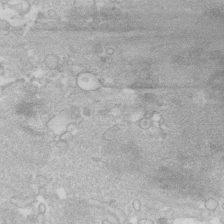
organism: Human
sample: Fibroblast cells